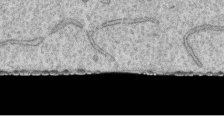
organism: Human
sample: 1205lu cells